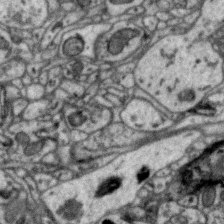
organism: Zebra finch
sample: Brain